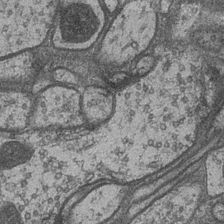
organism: Drosophila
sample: Optic medulla